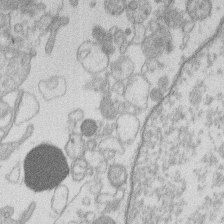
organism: Human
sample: Macrophage cells